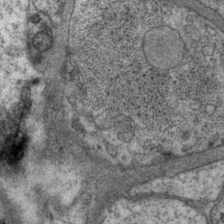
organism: P. pacificus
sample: Pharynx